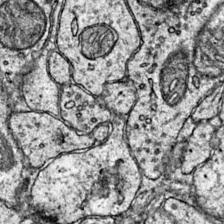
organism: Mouse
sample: Primary visual cortex